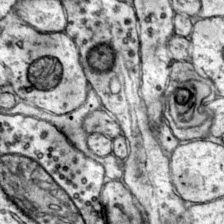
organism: Mouse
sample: Primary visual cortex